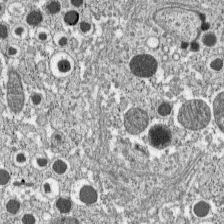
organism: C57BL Mouse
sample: Pancreatic islet